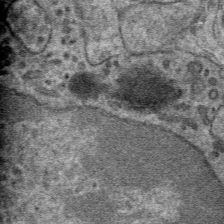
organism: Mouse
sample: Mouse hepatocytes